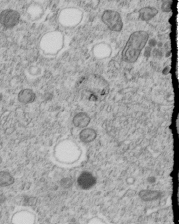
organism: C. elegans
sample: C. elegans embryo early stage